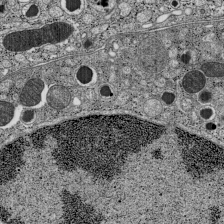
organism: C57BL Mouse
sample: Pancreatic islet